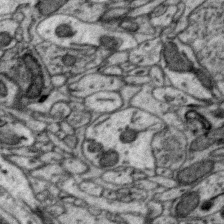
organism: Zebra finch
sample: Brain